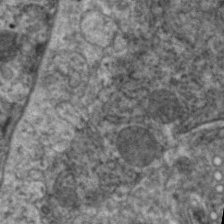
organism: C. elegans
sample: Pharynx